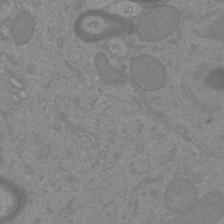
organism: Mouse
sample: Cortical neurons